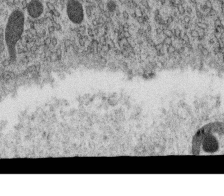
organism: C. elegans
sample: C. elegans oocyte; sperm cells